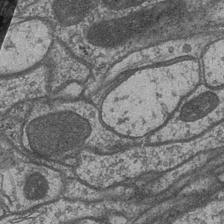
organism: Drosophila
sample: Optic medulla